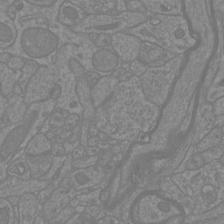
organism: Mouse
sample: Cortical neurons